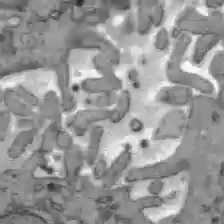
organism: C57BL Mouse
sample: Liver